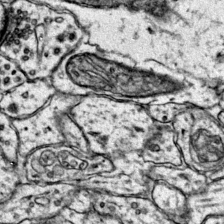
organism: Mouse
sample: Primary visual cortex